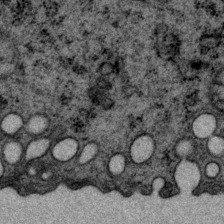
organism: P. pacificus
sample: Pharynx